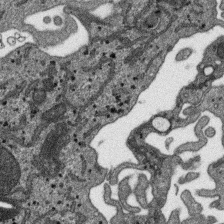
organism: Human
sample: Lung epithelial cells infected with SARS-CoV-2